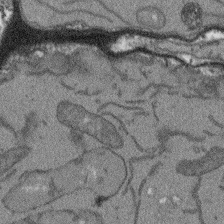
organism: Arabidopsis thaliana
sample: Root tip